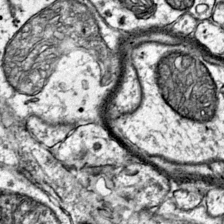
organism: Mouse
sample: Primary visual cortex